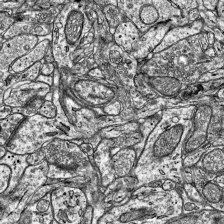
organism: Mouse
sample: Visual Cortex